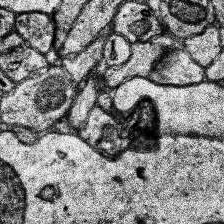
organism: Human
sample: Temporal Lobe